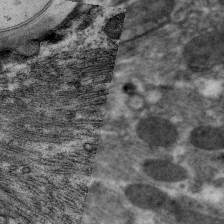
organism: C. elegans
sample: Pharynx